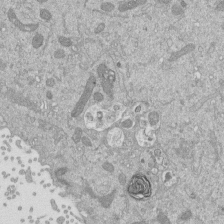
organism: Mouse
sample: ED-1 cell nuclei; centrioles